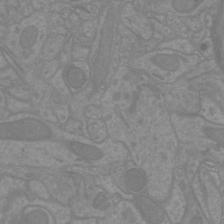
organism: Mouse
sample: Cortical neurons